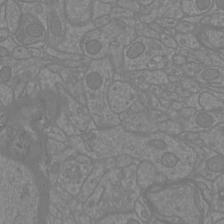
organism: Mouse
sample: Cortical neurons